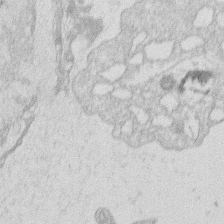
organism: Human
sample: Macrophage cells